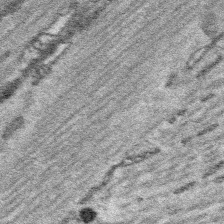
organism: Platynereis dumerilii